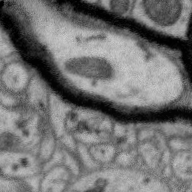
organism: Zebra finch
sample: Brain